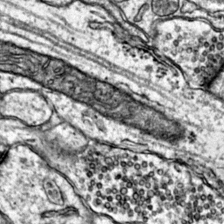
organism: Mouse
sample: Primary visual cortex